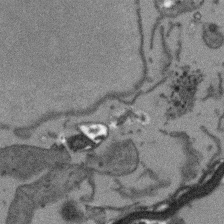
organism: Arabidopsis thaliana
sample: Root tip